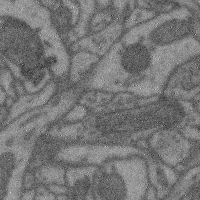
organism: Mouse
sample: Cerebral cortex